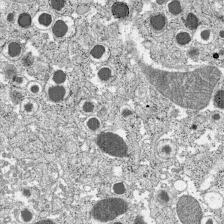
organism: C57BL Mouse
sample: Pancreatic islet